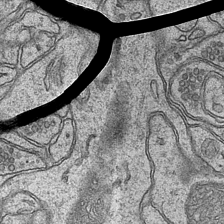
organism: Mouse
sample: CA1 Hippocampus